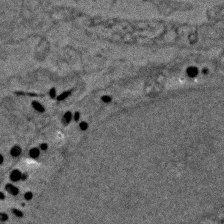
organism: Zebrafish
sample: Zebrafish embryo